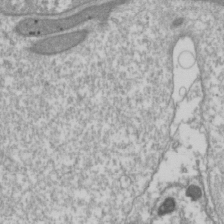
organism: Drosophila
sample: Cell division; meiosis; drosophila spermatocytes